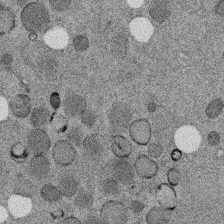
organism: C. elegans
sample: C. elegans embryo early stage